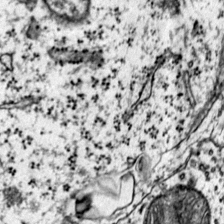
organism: Mouse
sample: Primary visual cortex